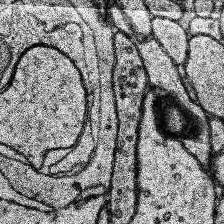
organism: Human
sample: Temporal Lobe